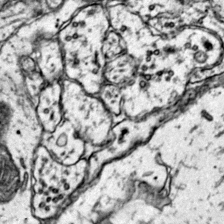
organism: Mouse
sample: Primary visual cortex